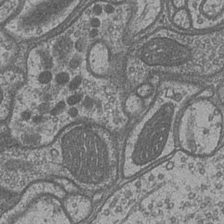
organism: Drosophila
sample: Optic medulla